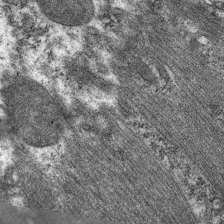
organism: C. elegans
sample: Pharynx